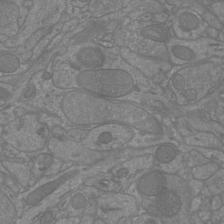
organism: Mouse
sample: Cortical neurons